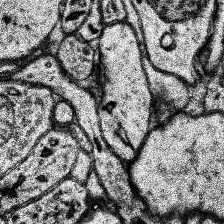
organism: Human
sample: Temporal Lobe